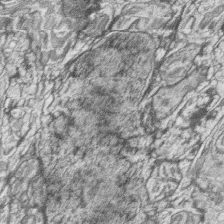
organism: Zebrafish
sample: synaptic ribbons in rod cells and cone cells